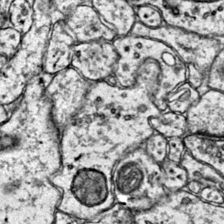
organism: Mouse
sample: Primary visual cortex